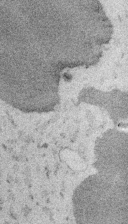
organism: Embia sp.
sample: Silk gland